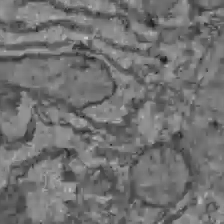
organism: C57BL Mouse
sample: Liver